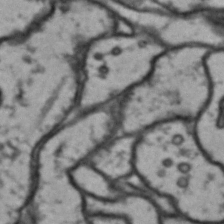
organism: Drosophila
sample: Brain